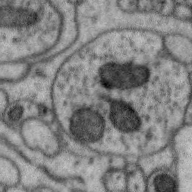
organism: Zebra finch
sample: Brain